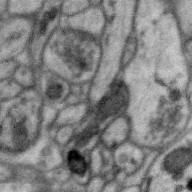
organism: Zebra finch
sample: Brain